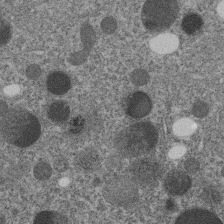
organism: C. elegans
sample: C. elegans embryo early stage